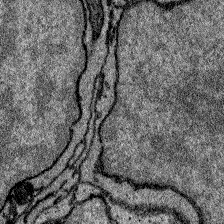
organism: Zebrafish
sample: Larval olfactory bulb